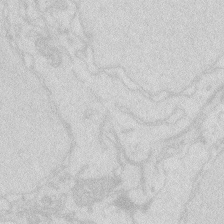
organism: Zebrafish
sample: Macrophage